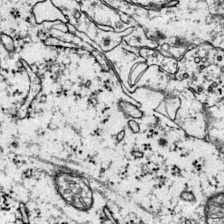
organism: Mouse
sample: Primary visual cortex